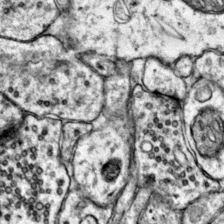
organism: Mouse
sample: Primary visual cortex